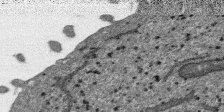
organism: Human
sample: Lung epithelial cells infected with SARS-CoV-2